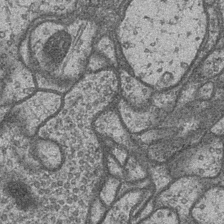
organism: Drosophila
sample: Optic medulla